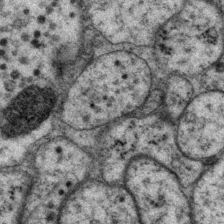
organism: P. pacificus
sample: Pharynx